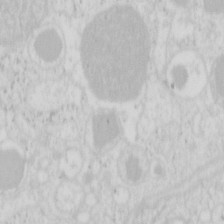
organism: Mouse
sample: Pancreas